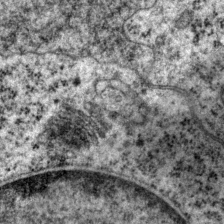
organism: P. pacificus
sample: Pharynx